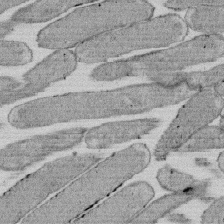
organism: E. coli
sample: Bacterial nucleoid